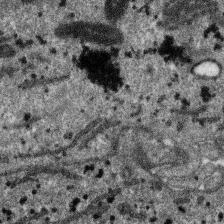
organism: Human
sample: Lung epithelial cells infected with SARS-CoV-2